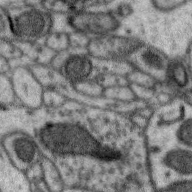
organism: Zebra finch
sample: Brain